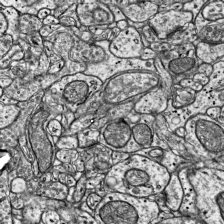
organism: Mouse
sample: Visual Cortex